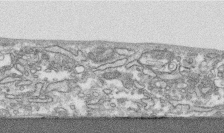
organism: Human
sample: CRL-1474